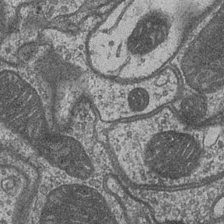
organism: Drosophila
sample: Optic medulla